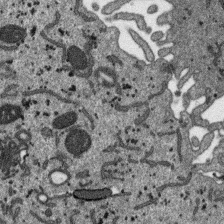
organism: Human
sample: Lung epithelial cells infected with SARS-CoV-2